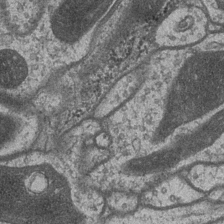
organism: Drosophila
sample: Optic medulla